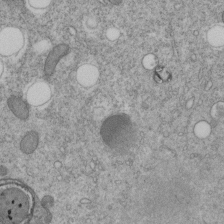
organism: C. elegans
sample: C. elegans embryo early stage